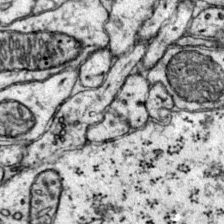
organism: Mouse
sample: Primary visual cortex